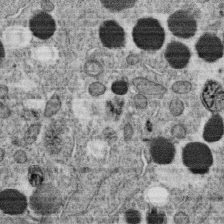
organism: C. elegans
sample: C. elegans oocyte; sperm cells